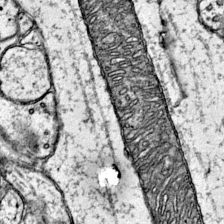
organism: Mouse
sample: Primary visual cortex